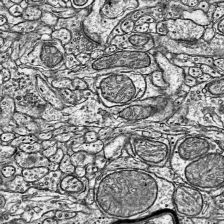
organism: Mouse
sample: Visual Cortex